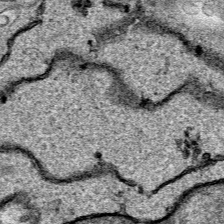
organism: Human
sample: Mitochondria in HCT116 cells